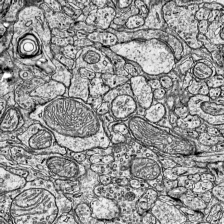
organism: Mouse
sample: Visual Cortex